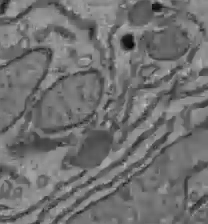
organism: C57BL Mouse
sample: Liver